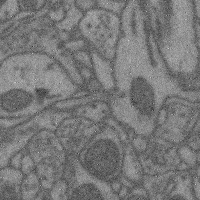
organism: Mouse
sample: Cerebral cortex